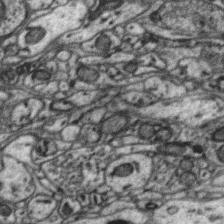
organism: Zebra finch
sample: Brain